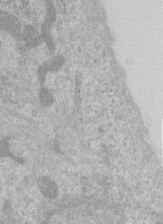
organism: Human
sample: Centriole in RPE cells